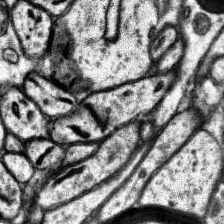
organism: Human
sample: Temporal Lobe